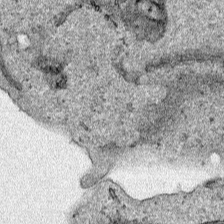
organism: Human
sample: Mitochondria in HCT116 cells